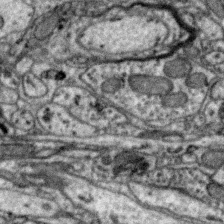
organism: Zebra finch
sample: Brain